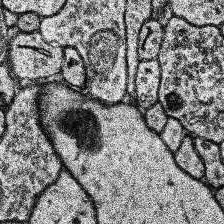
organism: Human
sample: Temporal Lobe